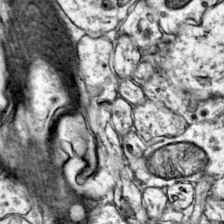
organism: Mouse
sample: Primary visual cortex